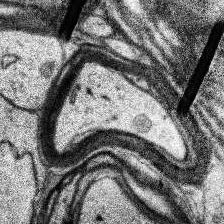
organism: Human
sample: Temporal Lobe